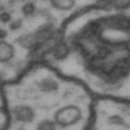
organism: Drosophila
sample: Brain